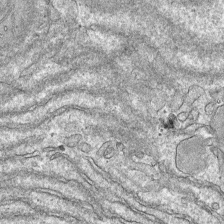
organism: Mouse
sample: Mouse hepatocytes